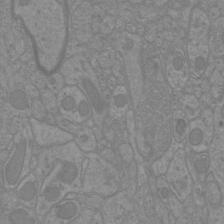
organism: Mouse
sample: Cortical neurons